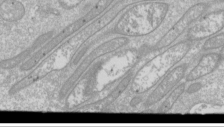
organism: Drosophila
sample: Cell division; meiosis; drosophila spermatocytes